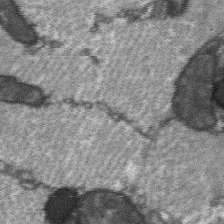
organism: C57BL Mouse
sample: Soleus